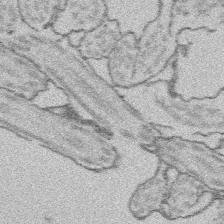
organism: Platynereis dumerilii